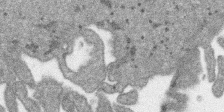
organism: Human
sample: Lung epithelial cells infected with SARS-CoV-2